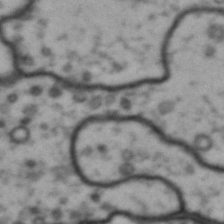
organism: Drosophila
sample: Brain